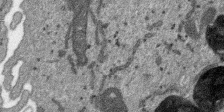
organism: Human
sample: Lung epithelial cells infected with SARS-CoV-2